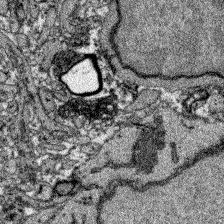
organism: Zebrafish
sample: Larval olfactory bulb